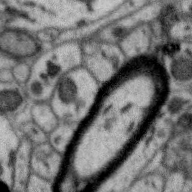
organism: Zebra finch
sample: Brain